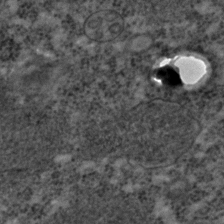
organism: C. elegans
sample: C. elegans embryo